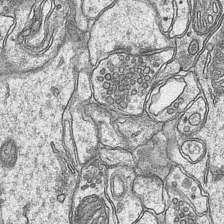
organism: Mouse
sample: CA1 Hippocampus